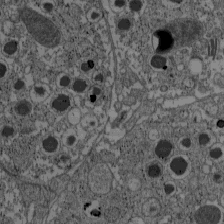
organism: C57BL Mouse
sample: Pancreatic islet